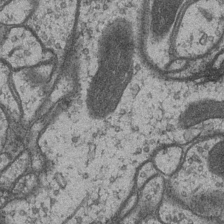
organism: Drosophila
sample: Optic medulla